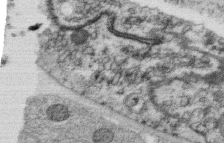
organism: C. elegans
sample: C. elegans oocyte; sperm cells